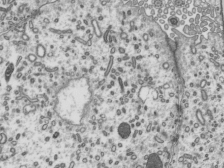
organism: Mouse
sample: Mouse epididymis efferent ductule cilia